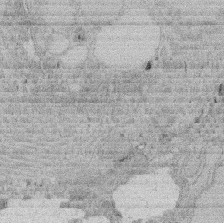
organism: Rat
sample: Salivary granule